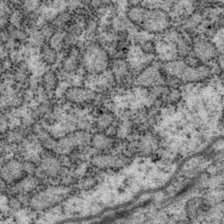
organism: P. pacificus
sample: Pharynx